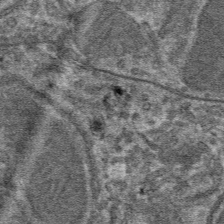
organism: Mouse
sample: Mouse hepatocytes